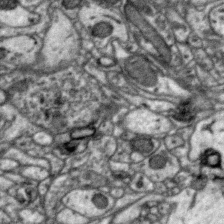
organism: Zebra finch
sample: Brain